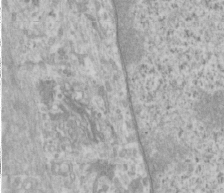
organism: Human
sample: Cilia; basal body in RPE cells